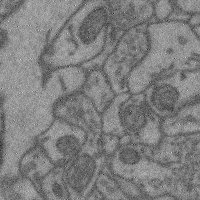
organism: Mouse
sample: Cerebral cortex